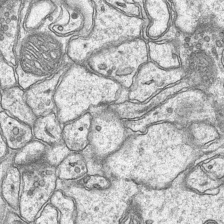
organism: Mouse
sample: CA1 Hippocampus